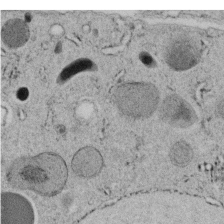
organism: C. elegans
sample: C. elegans embryo early stage